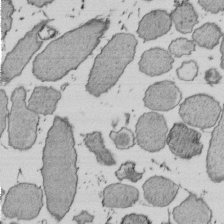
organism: E. coli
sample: Bacterial nucleoid